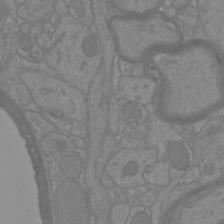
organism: Mouse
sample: Cortical neurons